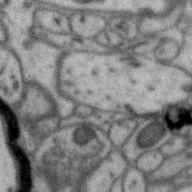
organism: Zebra finch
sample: Brain